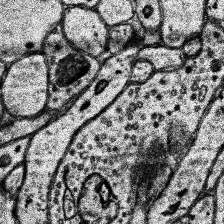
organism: Human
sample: Temporal Lobe